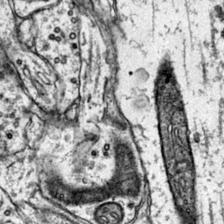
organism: Mouse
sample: Primary visual cortex